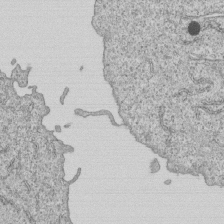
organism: Human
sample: MDA-MB-231 cells